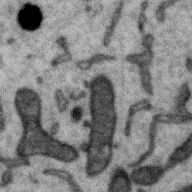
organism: Zebra finch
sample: Brain